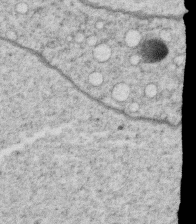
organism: C. elegans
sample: C. elegans oocyte; sperm cells